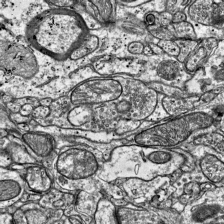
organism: Mouse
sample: Visual Cortex